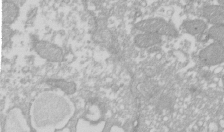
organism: Xenopus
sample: Cilia; centrioles in frog embryo cells